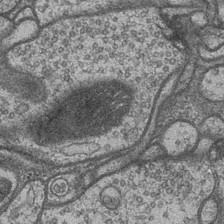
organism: Drosophila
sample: Optic medulla